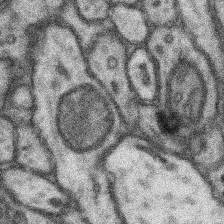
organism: Mouse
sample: Somatosensory cortex neuropil